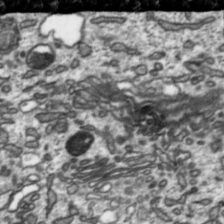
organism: Toxoplasma gondii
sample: Parasites in a vacuole inside a host cell